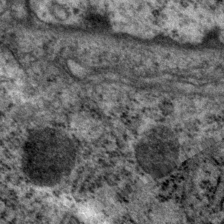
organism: P. pacificus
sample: Pharynx